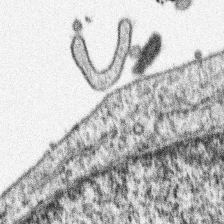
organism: Human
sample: HeLa cells